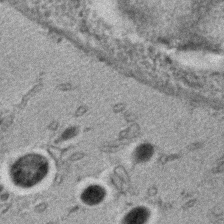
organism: C. elegans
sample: C. elegans embryo